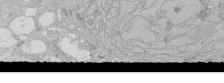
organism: Human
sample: Caco-2 cells